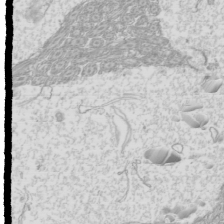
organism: Mouse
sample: Cilia; mouse epididymis